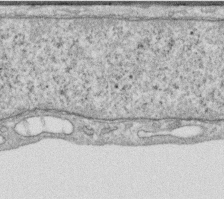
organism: Human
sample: Centriole in RPE cells